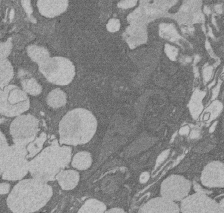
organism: Rat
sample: Salivary granule